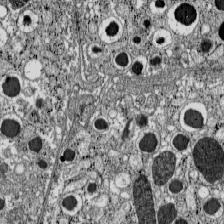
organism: C57BL Mouse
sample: Pancreatic islet